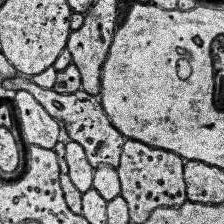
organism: Human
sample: Temporal Lobe